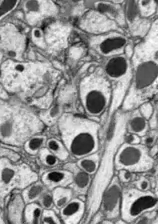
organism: Drosophila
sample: Optic lobe